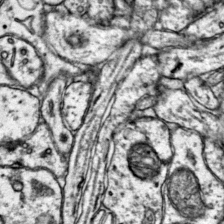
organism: Mouse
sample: Primary visual cortex